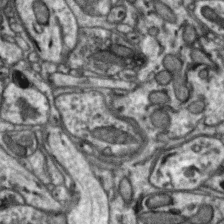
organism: Zebra finch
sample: Brain